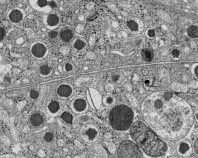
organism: C57BL Mouse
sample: Pancreatic islet